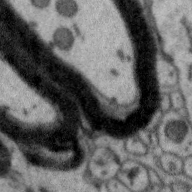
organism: Zebra finch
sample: Brain